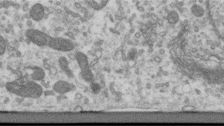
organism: Human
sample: Centriole in RPE cells